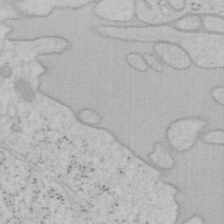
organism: Human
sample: HeLa cells